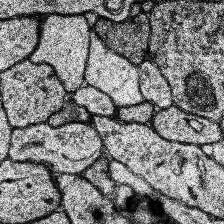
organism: Human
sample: Temporal Lobe